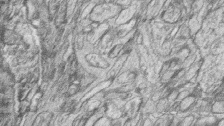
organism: Zebrafish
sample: synaptic ribbons in rod cells and cone cells